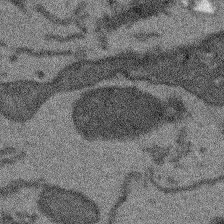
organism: Arabidopsis thaliana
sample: Root tip